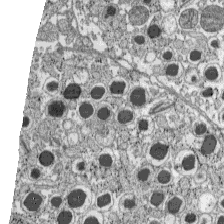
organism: C57BL Mouse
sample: Pancreatic islet